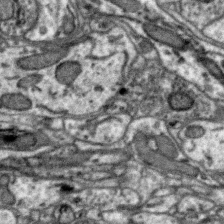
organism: Zebra finch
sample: Brain